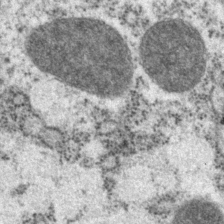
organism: P. pacificus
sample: Pharynx